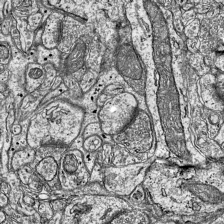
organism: Mouse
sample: Visual Cortex